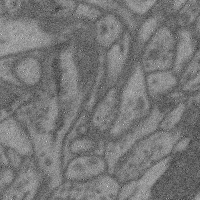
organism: Mouse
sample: Cerebral cortex